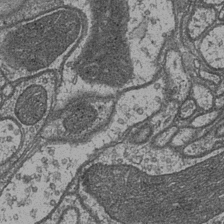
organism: Drosophila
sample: Optic medulla